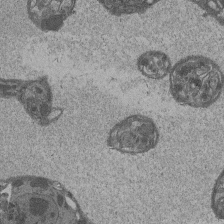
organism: Drosophila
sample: Antenna